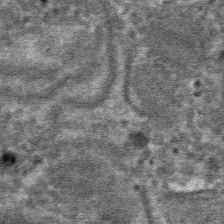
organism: Mouse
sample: Mouse hepatocytes